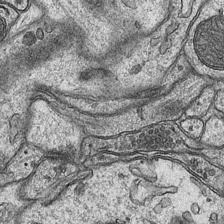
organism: Mouse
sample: CA1 Hippocampus